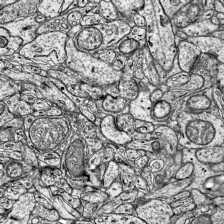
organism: Mouse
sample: Visual Cortex